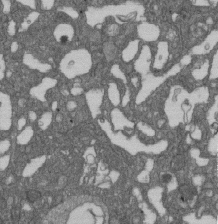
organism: Drosophila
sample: Nephrocyte